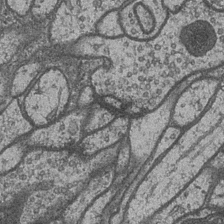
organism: Drosophila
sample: Optic medulla